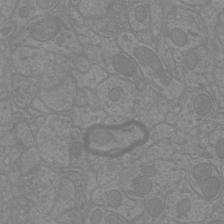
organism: Mouse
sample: Cortical neurons